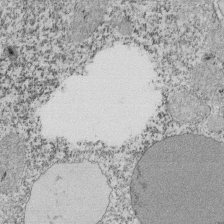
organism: Tetrahymena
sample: Cilia in tetrahymena